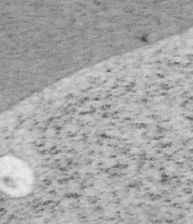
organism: Mouse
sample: OT-I killer T cells with ID8 ovarian cancer cells